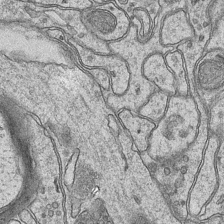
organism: Mouse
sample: CA1 Hippocampus